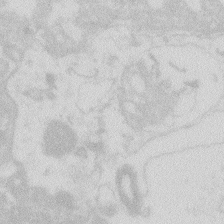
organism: Zebrafish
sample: Macrophage